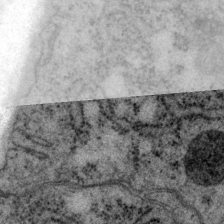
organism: P. pacificus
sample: Pharynx